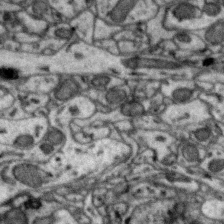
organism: Zebra finch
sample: Brain